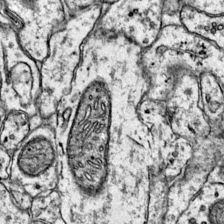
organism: Mouse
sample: Primary visual cortex